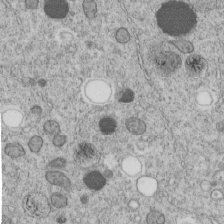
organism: C. elegans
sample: C. elegans embryo early stage